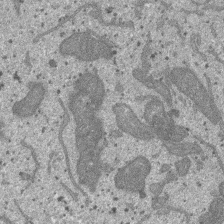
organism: Human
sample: Lung epithelial cells infected with SARS-CoV-2